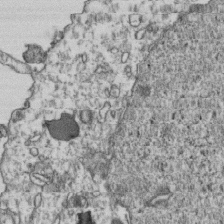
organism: Human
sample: Activated Jurkat CD4+ T cells